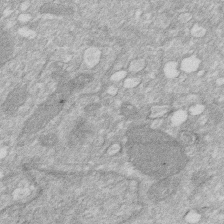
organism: Human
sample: HIV infected U937 cells